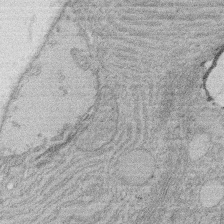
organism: Rat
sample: Salivary granule